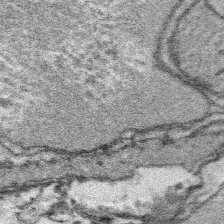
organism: Platynereis dumerilii